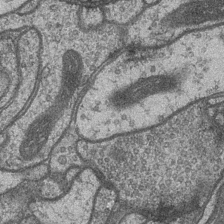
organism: Drosophila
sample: Optic medulla